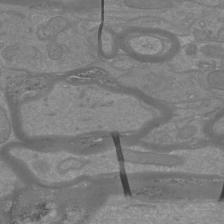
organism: Mouse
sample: Cortical neurons